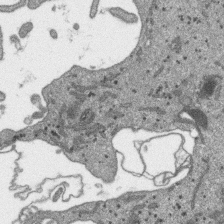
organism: Human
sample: Lung epithelial cells infected with SARS-CoV-2